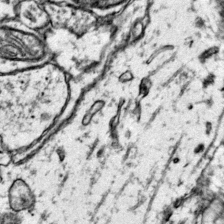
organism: Mouse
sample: Primary visual cortex